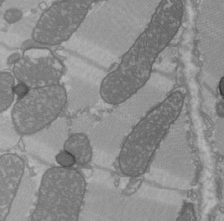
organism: C57BL Mouse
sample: Heart